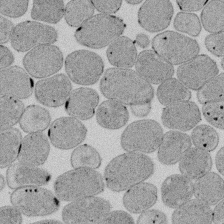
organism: E. coli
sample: Bacterial nucleoid